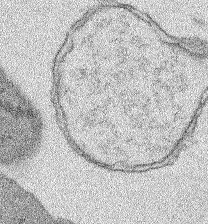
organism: Human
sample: HeLa cells